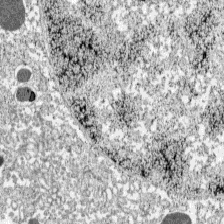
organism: C57BL Mouse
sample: Pancreatic islet